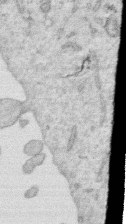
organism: Human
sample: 1205lu cells